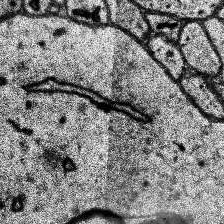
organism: Human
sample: Temporal Lobe